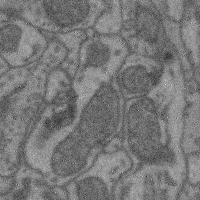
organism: Mouse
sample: Cerebral cortex